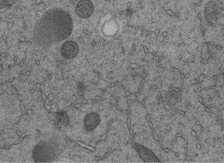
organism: C. elegans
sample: C. elegans embryo early stage